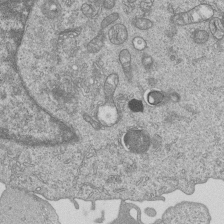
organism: Human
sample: MDA-MB-231 cells